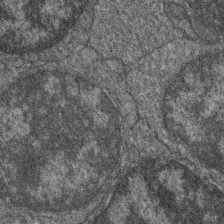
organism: Zebrafish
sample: Cilia; retinal pigment epithelium